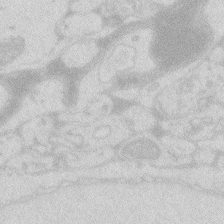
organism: Zebrafish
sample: Macrophage